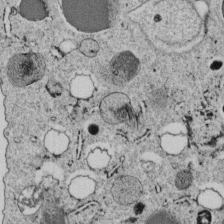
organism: C. elegans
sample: C. elegans embryo early stage